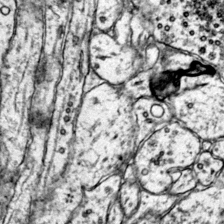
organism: Mouse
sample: Primary visual cortex